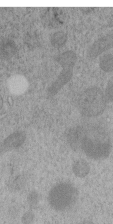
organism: C. elegans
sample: C. elegans embryo early stage